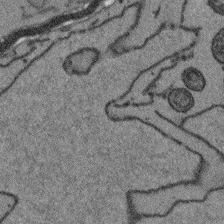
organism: Arabidopsis thaliana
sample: Root tip